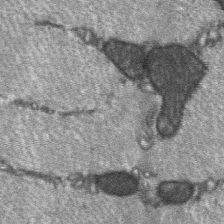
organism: C57BL Mouse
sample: Soleus